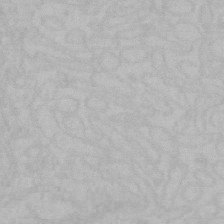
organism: Mouse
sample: Choroid plexus